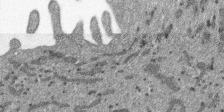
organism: Human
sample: Lung epithelial cells infected with SARS-CoV-2